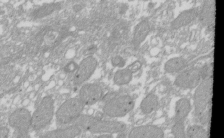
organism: Xenopus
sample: Cilia; centrioles in frog embryo cells